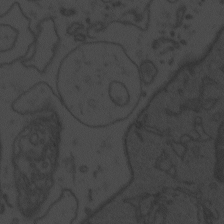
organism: Zebrafish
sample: Macrophage infected with Toxoplasma gondii